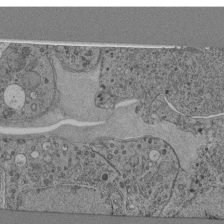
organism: C. elegans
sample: C. elegans pharynx